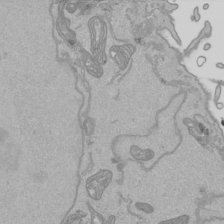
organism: Human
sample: Mitochondria in HCT116 cells